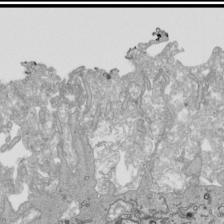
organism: Human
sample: Mitochondria in HCT116 cells